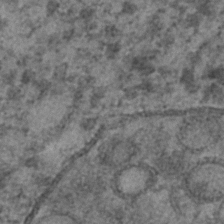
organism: C. elegans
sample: C. elegans embryo